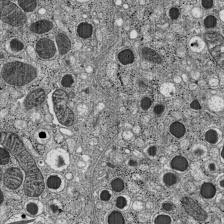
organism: C57BL Mouse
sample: Pancreatic islet